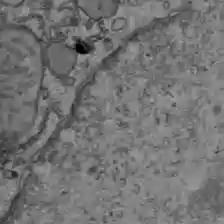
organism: C57BL Mouse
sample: Liver